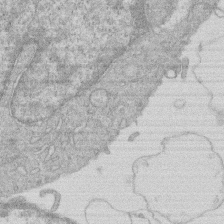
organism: Human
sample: Macrophage cells